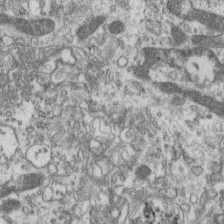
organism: Mouse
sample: Centriole in ependymal cells